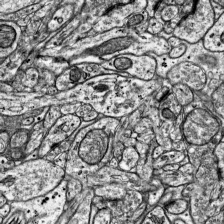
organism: Mouse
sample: Visual Cortex